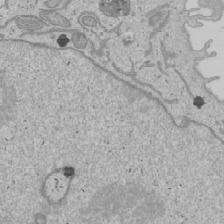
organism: Human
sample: Mitochondria in U2OS cells